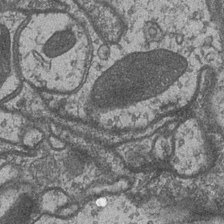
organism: Drosophila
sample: Optic medulla